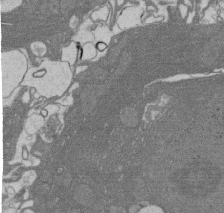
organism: Rat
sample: Salivary granule